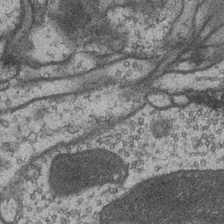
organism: Drosophila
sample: Optic medulla